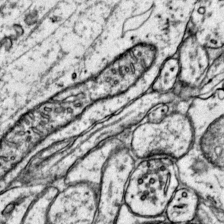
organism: Mouse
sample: Primary visual cortex